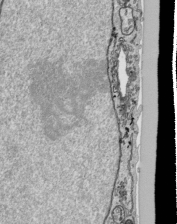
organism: Human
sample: Mitochondria in HCT116 cells